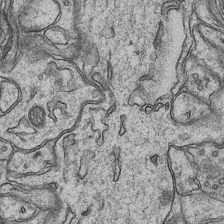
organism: Mouse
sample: CA1 Hippocampus